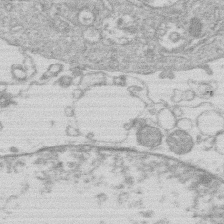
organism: Human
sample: Macrophage cells